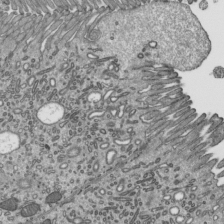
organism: Mouse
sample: Mouse epididymis efferent ductule cilia